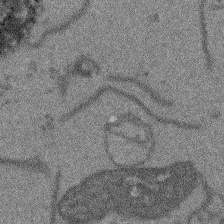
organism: Arabidopsis thaliana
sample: Root tip